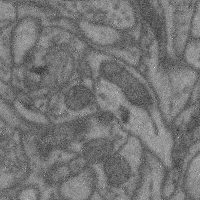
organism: Mouse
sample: Cerebral cortex